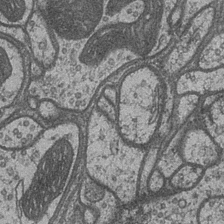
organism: Drosophila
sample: Optic medulla